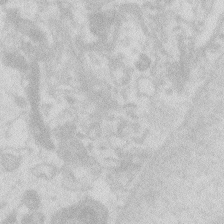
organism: Zebrafish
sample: Macrophage